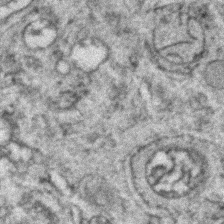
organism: Zebrafish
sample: Zebrafish embryo